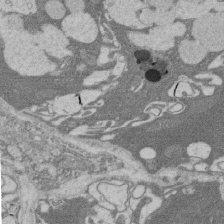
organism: Rat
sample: Salivary granule